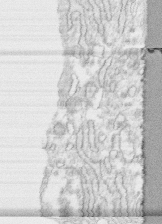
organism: Human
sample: CRL-1474